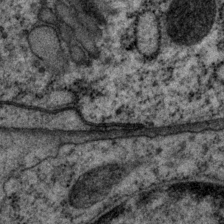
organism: P. pacificus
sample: Pharynx